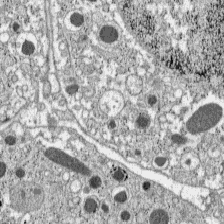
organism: C57BL Mouse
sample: Pancreatic islet